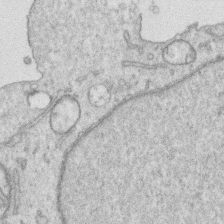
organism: Human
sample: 1205lu cells